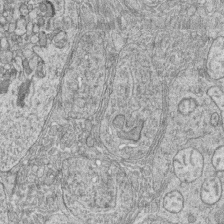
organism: Zebrafish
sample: synaptic ribbons in rod cells and cone cells